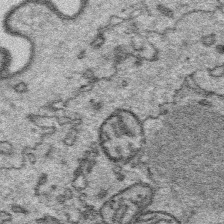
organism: Platynereis dumerilii